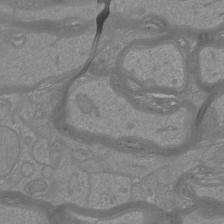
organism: Mouse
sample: Cortical neurons